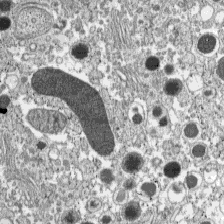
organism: C57BL Mouse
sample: Pancreatic islet